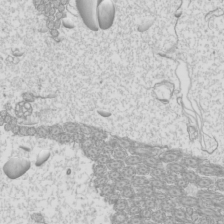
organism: Mouse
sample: Cilia; mouse epididymis